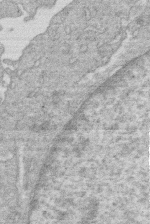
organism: Human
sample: Macrophage cells